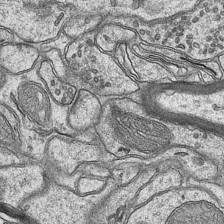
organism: Mouse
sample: CA1 Hippocampus